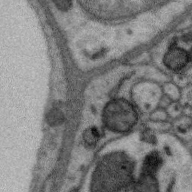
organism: Zebra finch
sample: Brain